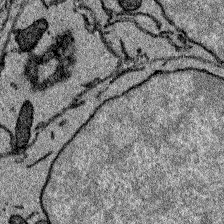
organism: Zebrafish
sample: Larval olfactory bulb